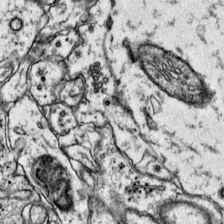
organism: Mouse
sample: Primary visual cortex